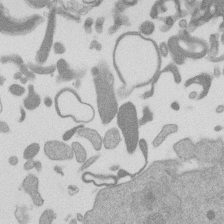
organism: Mouse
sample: Dividing mouse embryo 1 cell stage